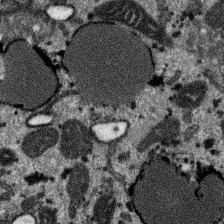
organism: Human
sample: Lung epithelial cells infected with SARS-CoV-2